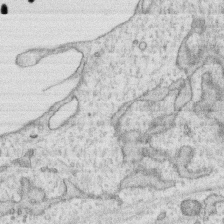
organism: Human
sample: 1205lu cells